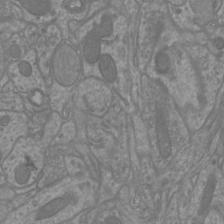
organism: Mouse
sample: Cortical neurons